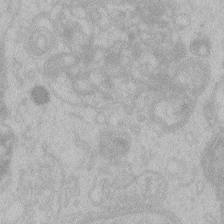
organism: Zebrafish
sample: Macrophage infected with Toxoplasma gondii